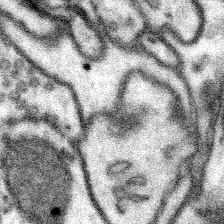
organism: Mouse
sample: Somatosensory cortex neuropil